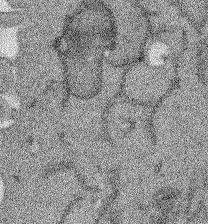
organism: Human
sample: HeLa cells